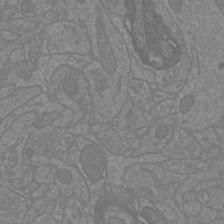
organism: Mouse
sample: Cortical neurons